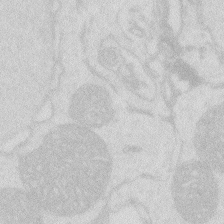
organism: Zebrafish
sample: Macrophage